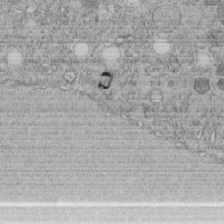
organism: C. elegans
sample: C. elegans embryo early stage